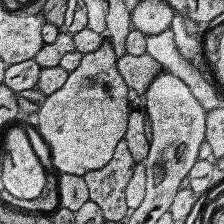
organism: Human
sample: Temporal Lobe